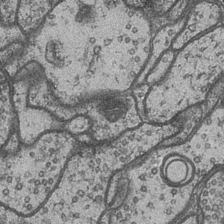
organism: Drosophila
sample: Optic medulla